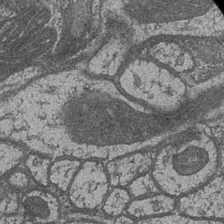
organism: Drosophila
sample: Optic medulla